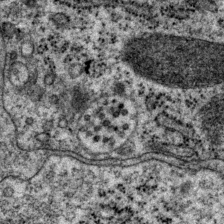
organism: P. pacificus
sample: Pharynx